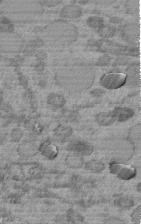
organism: C. elegans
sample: C. elegans embryo early stage